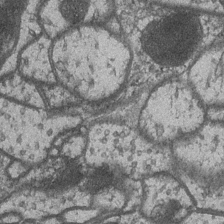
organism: Drosophila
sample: Optic medulla